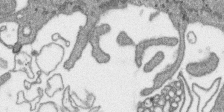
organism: Human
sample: Lung epithelial cells infected with SARS-CoV-2